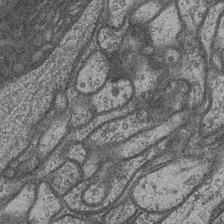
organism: Drosophila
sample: Optic medulla